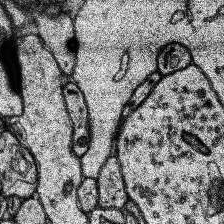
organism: Human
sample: Temporal Lobe